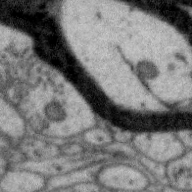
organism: Zebra finch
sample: Brain